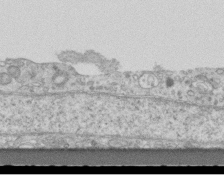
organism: Mouse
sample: Centriole in ependymal cells